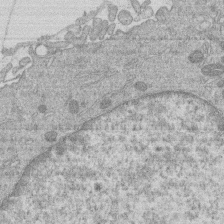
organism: Human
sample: Macrophage cells